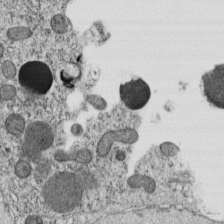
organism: C. elegans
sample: C. elegans embryo early stage